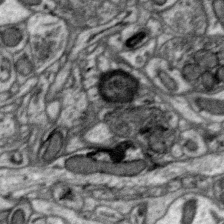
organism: Zebra finch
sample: Brain